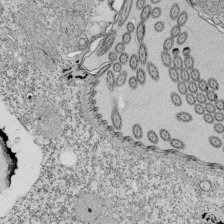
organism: Tetrahymena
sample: Cilia in tetrahymena